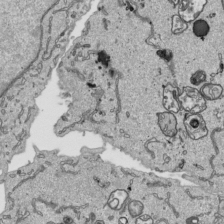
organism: Human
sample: Mitochondria in HCT116 cells